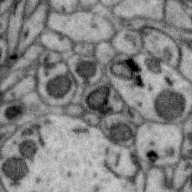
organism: Zebra finch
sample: Brain